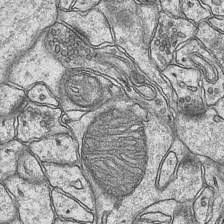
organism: Mouse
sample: CA1 Hippocampus